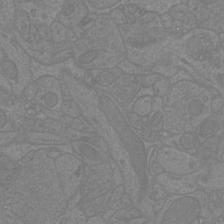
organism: Mouse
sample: Cortical neurons